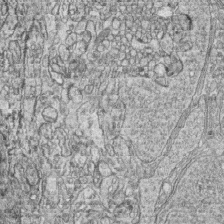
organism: Zebrafish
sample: synaptic ribbons in rod cells and cone cells